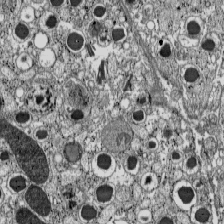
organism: C57BL Mouse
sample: Pancreatic islet